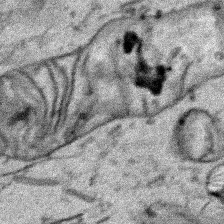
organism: Human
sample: Mitochondria in HCT116 cells